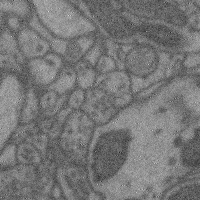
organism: Mouse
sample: Cerebral cortex